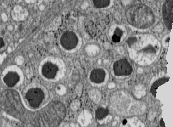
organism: C57BL Mouse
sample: Pancreatic islet